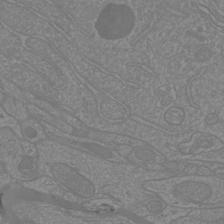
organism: Mouse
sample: Cortical neurons